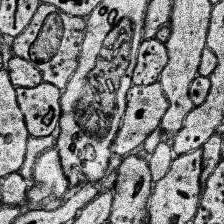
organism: Human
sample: Temporal Lobe